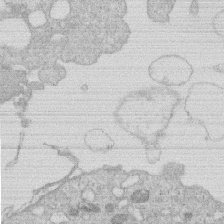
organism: Human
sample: Macrophage cells